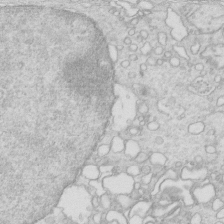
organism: Mouse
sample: Multiciliated cells